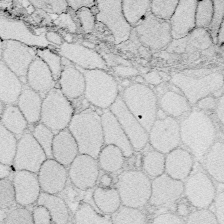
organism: Zebrafish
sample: Whole-Brain